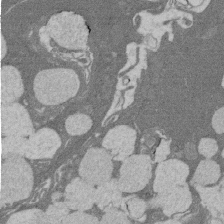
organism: Rat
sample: Salivary granule